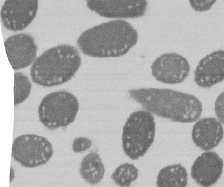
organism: E. coli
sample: Bacterial nucleoid